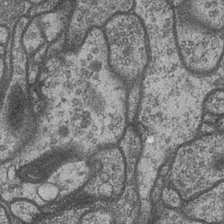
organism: Drosophila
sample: Optic medulla